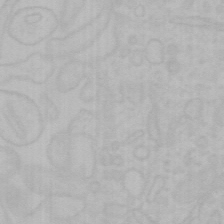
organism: Mouse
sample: Choroid plexus